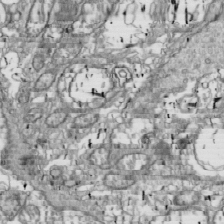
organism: Drosophila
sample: Cell division; meiosis; drosophila spermatocytes